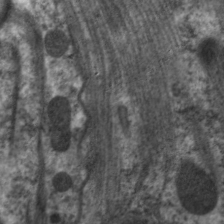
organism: C. elegans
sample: Pharynx